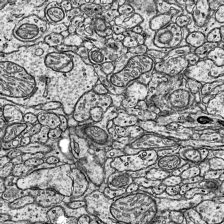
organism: Mouse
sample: Visual Cortex